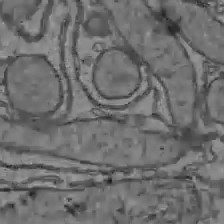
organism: C57BL Mouse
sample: Liver